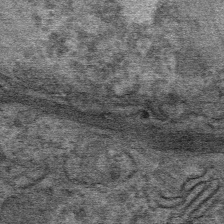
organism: Mouse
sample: Mouse Salivary gland